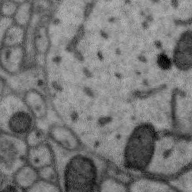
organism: Zebra finch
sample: Brain